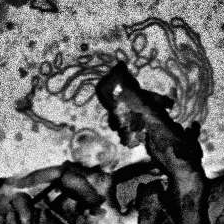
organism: Human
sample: Temporal Lobe